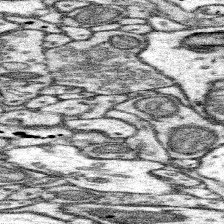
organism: Mouse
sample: Somatosensory cortex neuropil